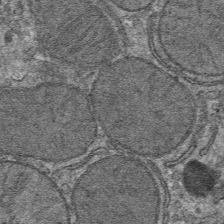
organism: Mouse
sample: Mouse hepatocytes